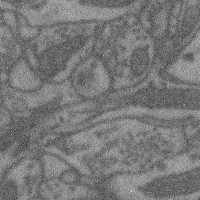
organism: Mouse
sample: Cerebral cortex